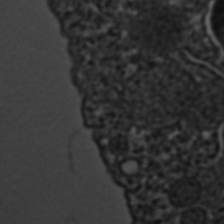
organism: C. elegans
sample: C. elegans embryo